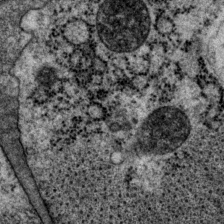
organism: P. pacificus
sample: Pharynx